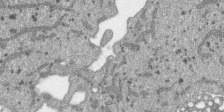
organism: Human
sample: Lung epithelial cells infected with SARS-CoV-2